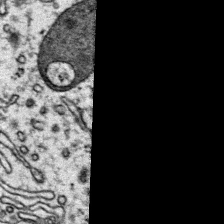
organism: Mouse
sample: Primary visual cortex